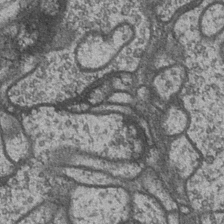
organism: Drosophila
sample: Optic medulla